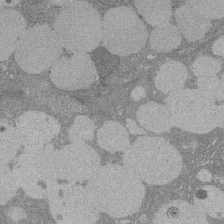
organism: Rat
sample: Salivary granule